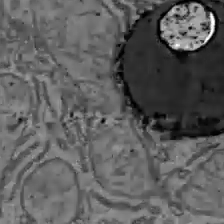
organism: C57BL Mouse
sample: Liver